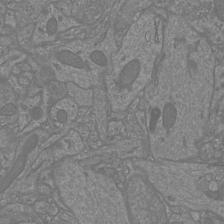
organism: Mouse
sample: Cortical neurons